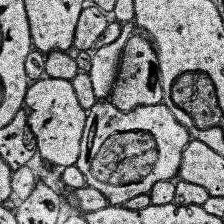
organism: Human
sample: Temporal Lobe